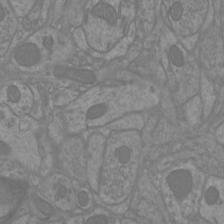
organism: Mouse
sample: Cortical neurons